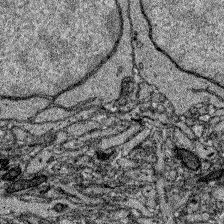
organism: Zebrafish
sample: Larval olfactory bulb